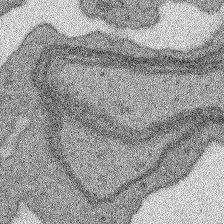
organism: Human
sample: HeLa cells